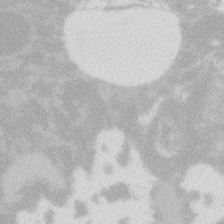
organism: Zebrafish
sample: Macrophage